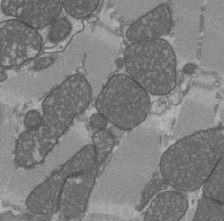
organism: C57BL Mouse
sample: Heart